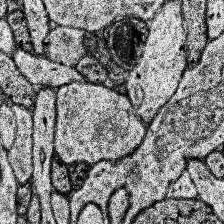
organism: Human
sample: Temporal Lobe